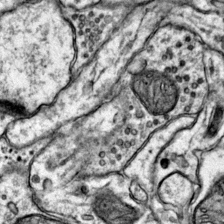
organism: Mouse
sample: Primary visual cortex